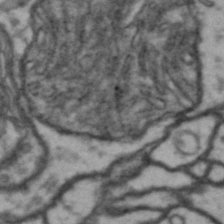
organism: Drosophila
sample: Brain